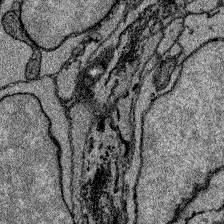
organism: Zebrafish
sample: Larval olfactory bulb